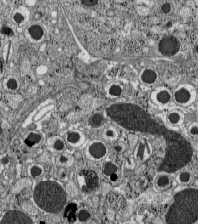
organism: C57BL Mouse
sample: Pancreatic islet